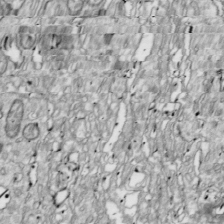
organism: Drosophila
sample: Cell division; meiosis; drosophila spermatocytes